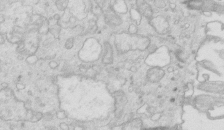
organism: Mouse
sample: Multiciliated cells